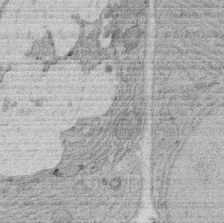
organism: Rat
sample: Salivary granule